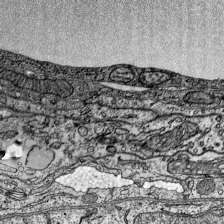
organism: Mouse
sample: Visual Cortex